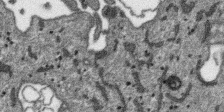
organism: Human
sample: Lung epithelial cells infected with SARS-CoV-2